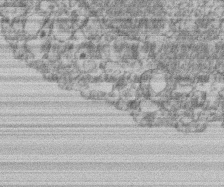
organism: Mouse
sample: T cell stromal cell synapse